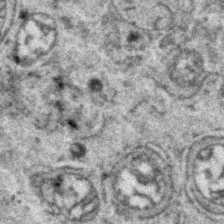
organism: Zebrafish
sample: Zebrafish embryo